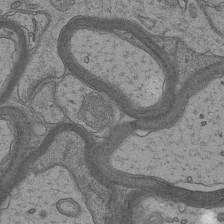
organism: Mouse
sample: CA1 Hippocampus